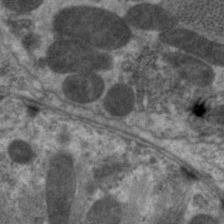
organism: C. elegans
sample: Pharynx